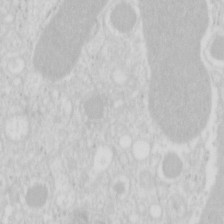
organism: Mouse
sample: Pancreas